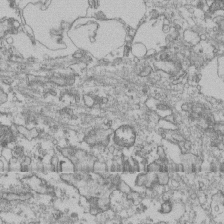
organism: Human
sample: Fibroblast cells